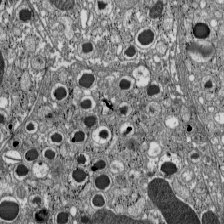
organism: C57BL Mouse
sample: Pancreatic islet